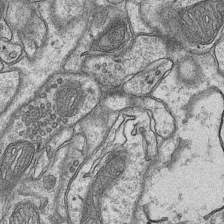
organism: Mouse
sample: CA1 Hippocampus